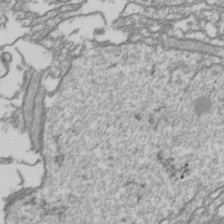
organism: Drosophila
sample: Cell division; meiosis; drosophila spermatocytes